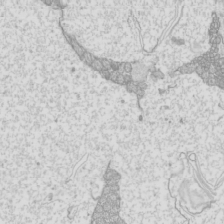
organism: Mouse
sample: Cilia; mouse epididymis